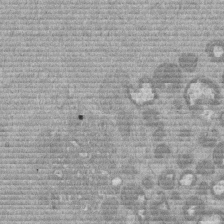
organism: Mouse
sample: Dividing mouse embryo 1 cell stage